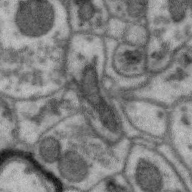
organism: Zebra finch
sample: Brain